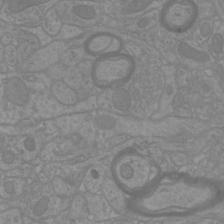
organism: Mouse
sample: Cortical neurons